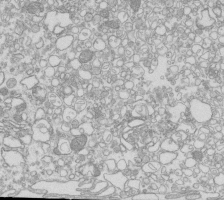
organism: Mouse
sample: Macrophages